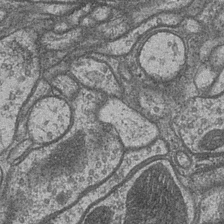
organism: Drosophila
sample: Optic medulla